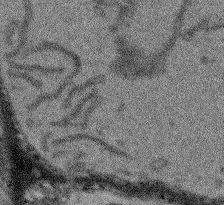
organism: Arabidopsis thaliana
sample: Root tip